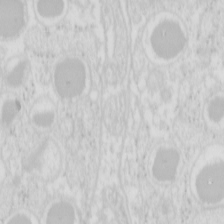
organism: Mouse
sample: Pancreas